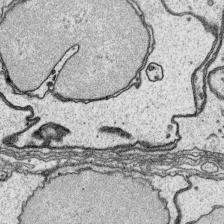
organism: Platynereis dumerilii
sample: Parapodia